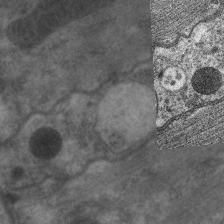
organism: C. elegans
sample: Pharynx